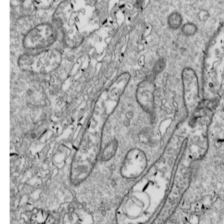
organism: Drosophila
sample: Cell division; meiosis; drosophila spermatocytes